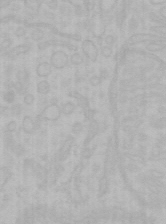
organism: Mouse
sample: Choroid plexus